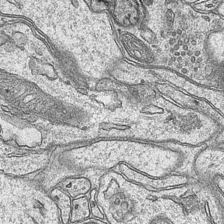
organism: Mouse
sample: CA1 Hippocampus